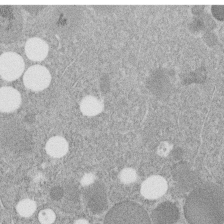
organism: C. elegans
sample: C. elegans embryo early stage